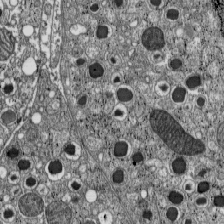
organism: C57BL Mouse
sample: Pancreatic islet